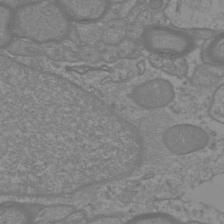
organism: Mouse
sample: Cortical neurons